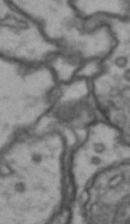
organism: Drosophila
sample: Brain